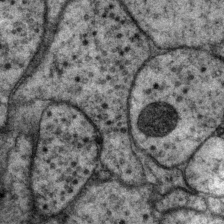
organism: P. pacificus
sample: Pharynx